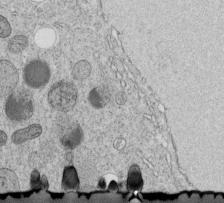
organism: C. elegans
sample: C. elegans embryo early stage